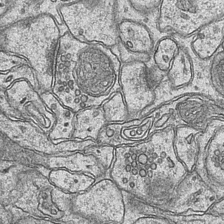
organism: Mouse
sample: CA1 Hippocampus